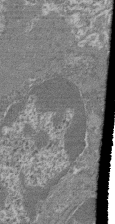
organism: Mouse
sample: Glomerulus